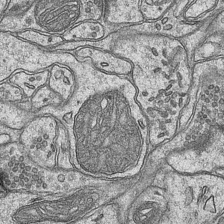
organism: Mouse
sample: CA1 Hippocampus